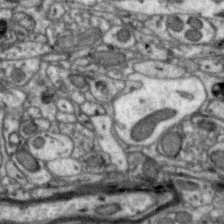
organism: Zebra finch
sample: Brain